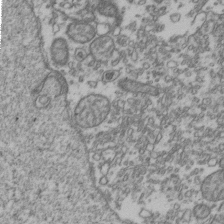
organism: Human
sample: Activated Jurkat CD4+ T cells